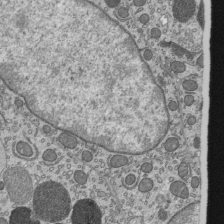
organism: Mouse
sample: Mouse epididymis efferent ductule cilia